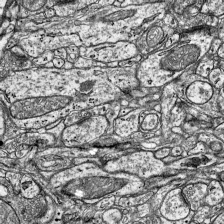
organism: Mouse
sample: Visual Cortex